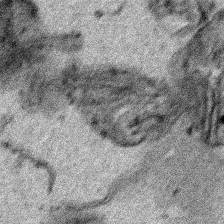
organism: Human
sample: Mitochondria in HCT116 cells